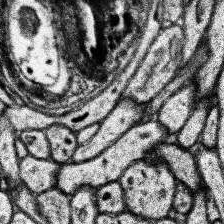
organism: Human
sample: Temporal Lobe